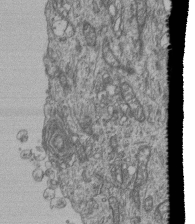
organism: Human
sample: Retinal organoid Rod and Cone cells